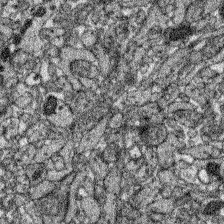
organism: Zebrafish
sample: Larval olfactory bulb